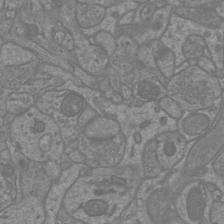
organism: Mouse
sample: Cortical neurons